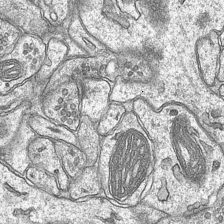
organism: Mouse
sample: CA1 Hippocampus